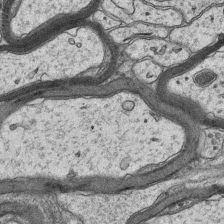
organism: Mouse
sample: CA1 Hippocampus